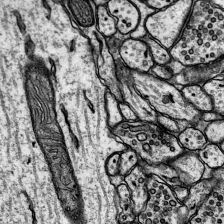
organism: Rat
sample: Hippocampus